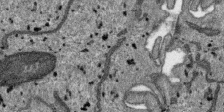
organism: Human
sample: Lung epithelial cells, uninfected (mock) control